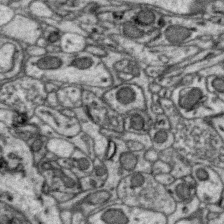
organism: Zebra finch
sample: Brain